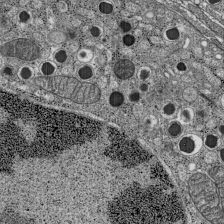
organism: C57BL Mouse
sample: Pancreatic islet